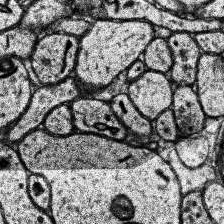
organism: Human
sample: Temporal Lobe